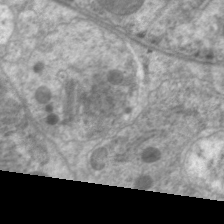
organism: C. elegans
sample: Pharynx